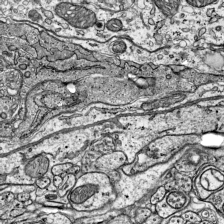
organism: Mouse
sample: Visual Cortex